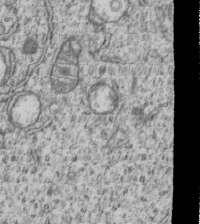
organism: Human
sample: MDA-MB-231 cells